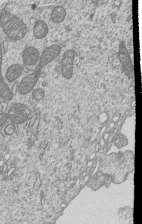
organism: Human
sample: MDA-MB-231 cells